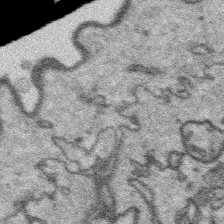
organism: Platynereis dumerilii